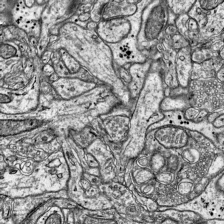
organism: Mouse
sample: Visual Cortex